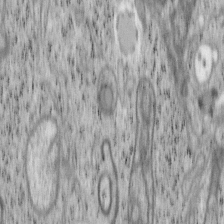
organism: Human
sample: HeLa cells